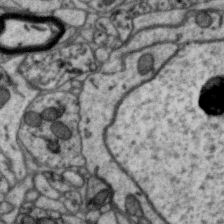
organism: Zebra finch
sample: Brain